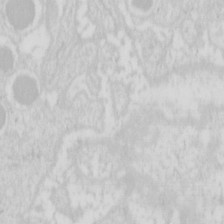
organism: Mouse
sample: Pancreas